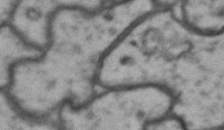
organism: Drosophila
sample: Brain